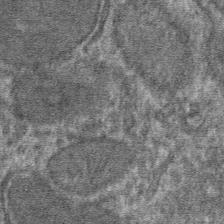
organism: Mouse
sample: Mouse hepatocytes